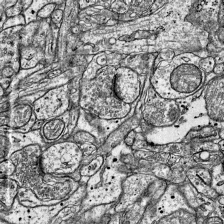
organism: Mouse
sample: Visual Cortex